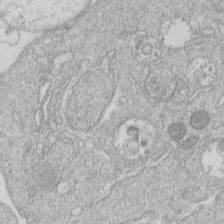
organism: Human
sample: Macrophage cells